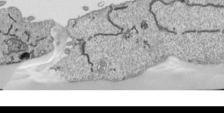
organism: Human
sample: Mitochondria in HCT116 cells